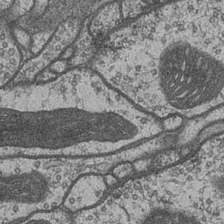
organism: Drosophila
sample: Optic medulla